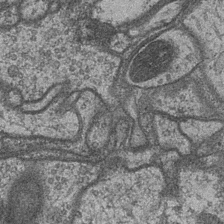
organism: Drosophila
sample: Optic medulla